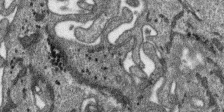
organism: Human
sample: Lung epithelial cells infected with SARS-CoV-2